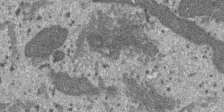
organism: Human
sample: Lung epithelial cells infected with SARS-CoV-2